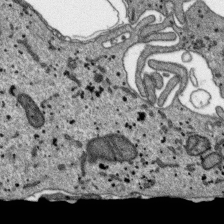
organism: Human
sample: Lung epithelial cells, uninfected (mock) control